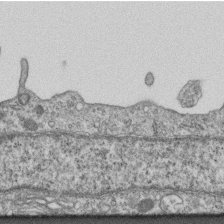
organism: Mouse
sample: Centriole in ependymal cells